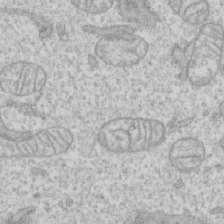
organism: Human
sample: CRL-1474